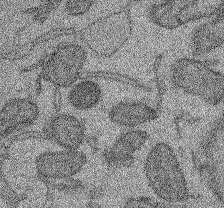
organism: Human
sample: HeLa cells